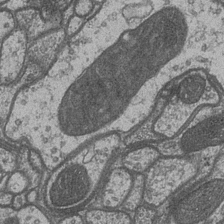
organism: Drosophila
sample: Optic medulla